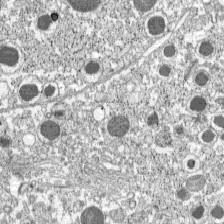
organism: C57BL Mouse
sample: Pancreatic islet